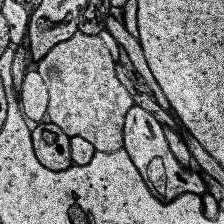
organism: Human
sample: Temporal Lobe